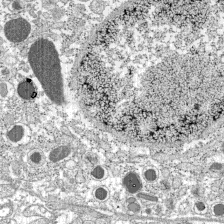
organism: C57BL Mouse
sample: Pancreatic islet